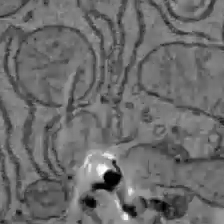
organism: C57BL Mouse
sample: Liver